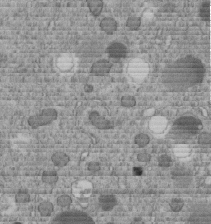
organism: C. elegans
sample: C. elegans embryo early stage